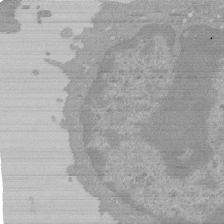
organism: Mouse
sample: Activated Pmel transgenic CD8+ T Cells